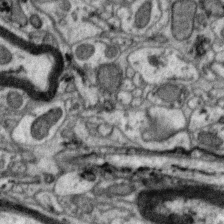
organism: Zebra finch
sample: Brain